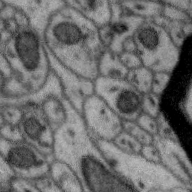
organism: Zebra finch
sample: Brain